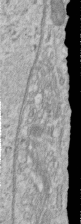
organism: Human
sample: Centriole in RPE cells